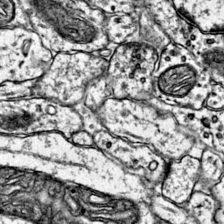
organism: Mouse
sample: Primary visual cortex